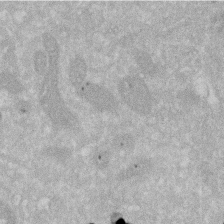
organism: Human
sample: HIV infected U937 cells